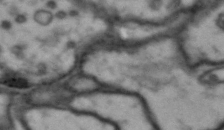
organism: Drosophila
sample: Brain